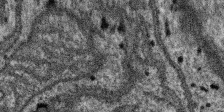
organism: Human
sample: Lung epithelial cells infected with SARS-CoV-2